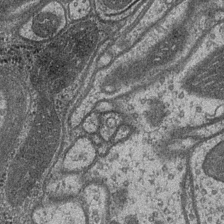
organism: Drosophila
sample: Optic medulla